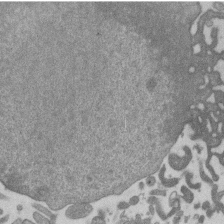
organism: Mouse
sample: Dividing mouse embryo 1 cell stage